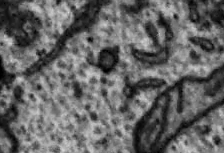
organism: Human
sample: HeLa cells